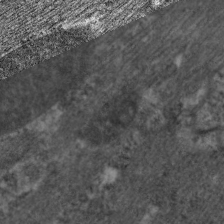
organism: C. elegans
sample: Pharynx